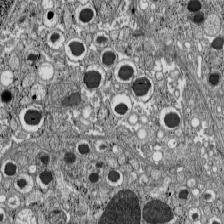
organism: C57BL Mouse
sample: Pancreatic islet